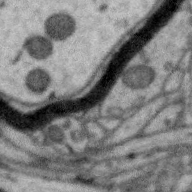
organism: Zebra finch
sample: Brain